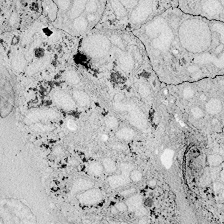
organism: Zebrafish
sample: Whole-Brain